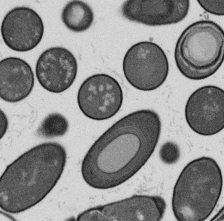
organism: B. subtilis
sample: Bacterial spore